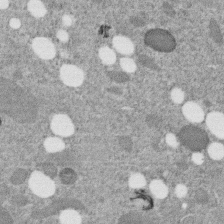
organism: C. elegans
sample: C. elegans embryo early stage